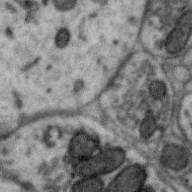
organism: Zebra finch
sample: Brain